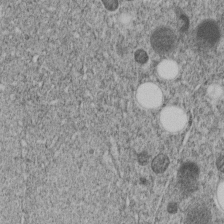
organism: C. elegans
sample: C. elegans embryo early stage